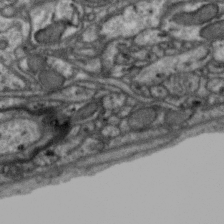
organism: Zebra finch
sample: Brain